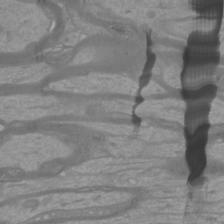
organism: Mouse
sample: Cortical neurons